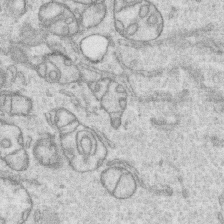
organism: Human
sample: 1205lu cells